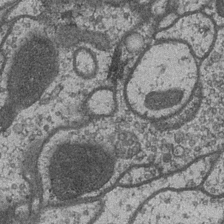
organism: Drosophila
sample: Optic medulla